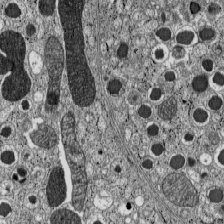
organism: C57BL Mouse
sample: Pancreatic islet